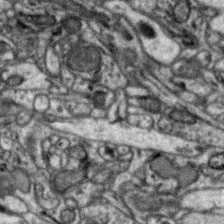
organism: Zebra finch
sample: Brain